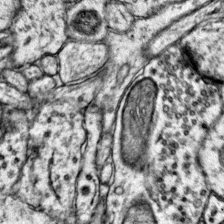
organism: Mouse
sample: Primary visual cortex